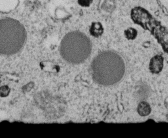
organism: C. elegans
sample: C. elegans embryo early stage